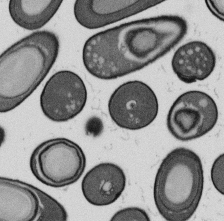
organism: B. subtilis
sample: Bacterial spore